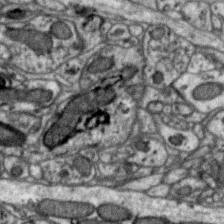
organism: Zebra finch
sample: Brain